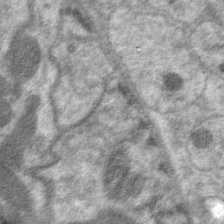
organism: C. elegans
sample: Pharynx